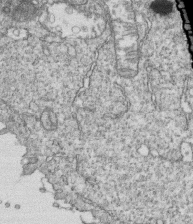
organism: Human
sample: HeLa cell HIV synapse